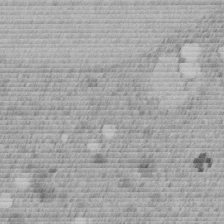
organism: C. elegans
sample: C. elegans embryo early stage